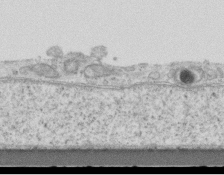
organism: Mouse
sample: Centriole in ependymal cells